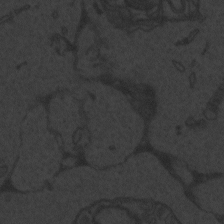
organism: Zebrafish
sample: Macrophage infected with Toxoplasma gondii